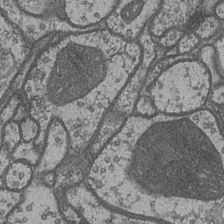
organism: Drosophila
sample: Optic medulla